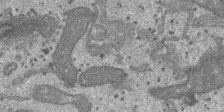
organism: Human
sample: Lung epithelial cells infected with SARS-CoV-2